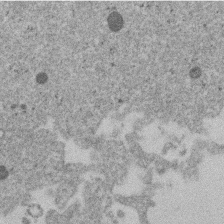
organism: Mouse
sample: Dividing mouse embryo 1 cell stage